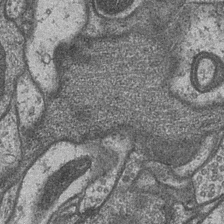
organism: Drosophila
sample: Optic medulla